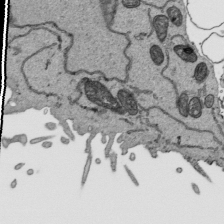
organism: Human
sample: Mitochondria in HCT116 cells